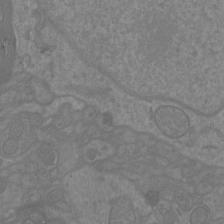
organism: Mouse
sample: Cortical neurons